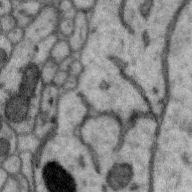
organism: Zebra finch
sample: Brain